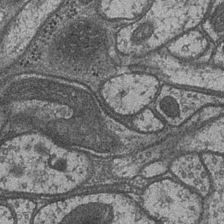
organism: Drosophila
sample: Optic medulla